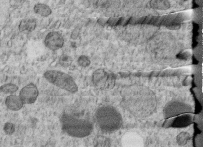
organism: C. elegans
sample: C. elegans embryo early stage